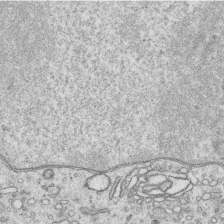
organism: Human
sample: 1205lu cells